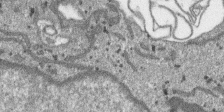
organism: Human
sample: Lung epithelial cells infected with SARS-CoV-2